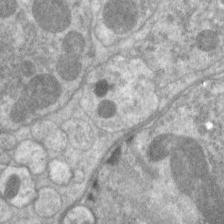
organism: C. elegans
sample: Pharynx